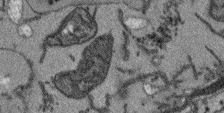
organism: Arabidopsis thaliana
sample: Root tip